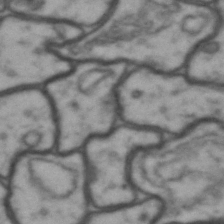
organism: Drosophila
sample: Brain